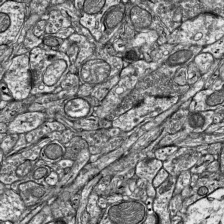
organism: Mouse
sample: Visual Cortex